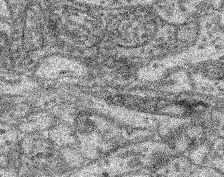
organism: Mouse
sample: Retina